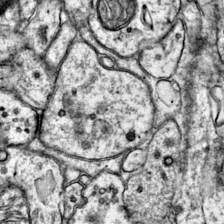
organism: Mouse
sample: Primary visual cortex